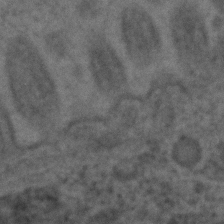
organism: C. elegans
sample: C. elegans embryo